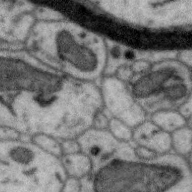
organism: Zebra finch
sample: Brain